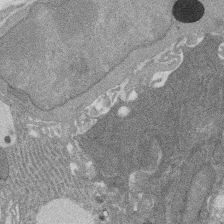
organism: Rat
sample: Salivary granule